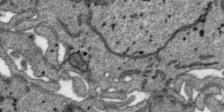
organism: Human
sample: Lung epithelial cells, uninfected (mock) control